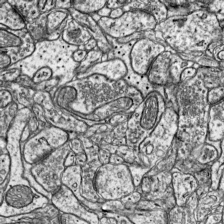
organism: Mouse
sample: Visual Cortex